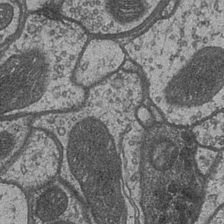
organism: Drosophila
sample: Optic medulla